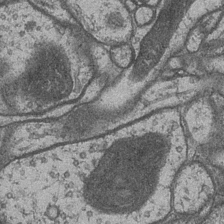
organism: Drosophila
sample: Optic medulla